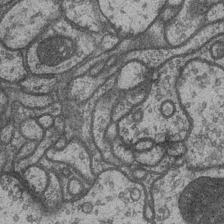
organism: Drosophila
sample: Optic medulla